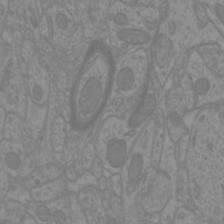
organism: Mouse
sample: Cortical neurons